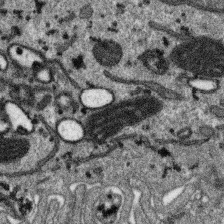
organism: Human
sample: Lung epithelial cells infected with SARS-CoV-2